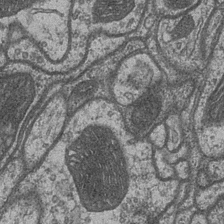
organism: Drosophila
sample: Optic medulla